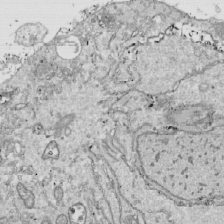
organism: Drosophila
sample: Cell division; meiosis; drosophila spermatocytes